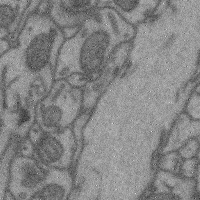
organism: Mouse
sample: Cerebral cortex